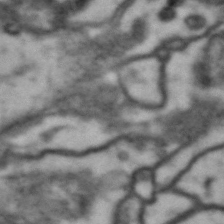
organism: Drosophila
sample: Brain